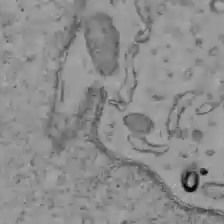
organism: C57BL Mouse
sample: Liver